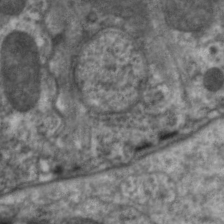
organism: C. elegans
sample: Pharynx